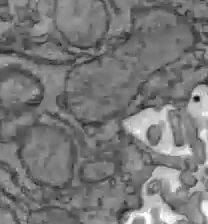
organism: C57BL Mouse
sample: Liver